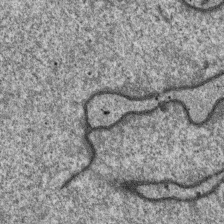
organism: Human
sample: Lung epithelial cells, uninfected (mock) control